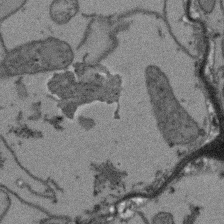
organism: Arabidopsis thaliana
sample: Root tip